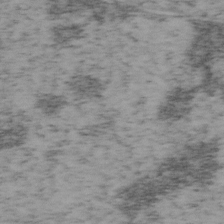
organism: Mouse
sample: OT-I killer T cells with ID8 ovarian cancer cells